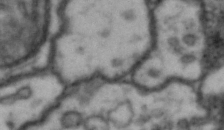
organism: Drosophila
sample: Brain